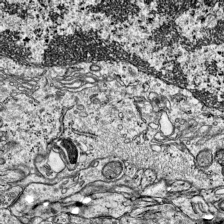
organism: Mouse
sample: Visual Cortex